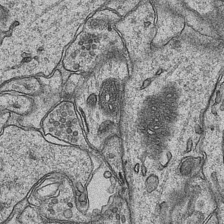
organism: Mouse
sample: CA1 Hippocampus